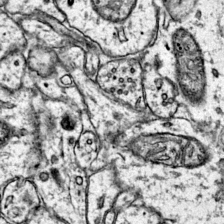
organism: Mouse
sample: Primary visual cortex